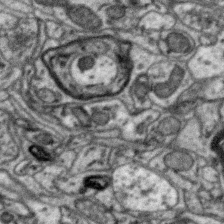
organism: Zebra finch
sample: Brain